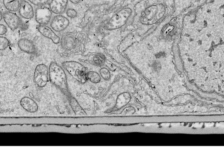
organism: Drosophila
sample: Cell division; meiosis; drosophila spermatocytes